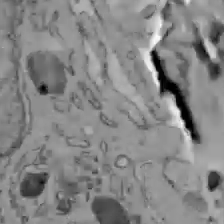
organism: C57BL Mouse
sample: Liver